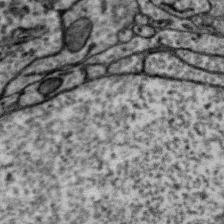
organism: Zebra finch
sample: Brain